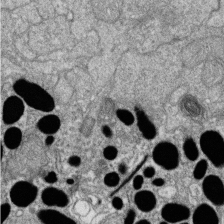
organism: Zebrafish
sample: Cilia; retinal pigment epithelium